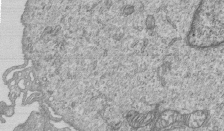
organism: Human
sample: MDA-MB-231 cells